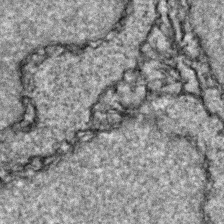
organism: Zebrafish